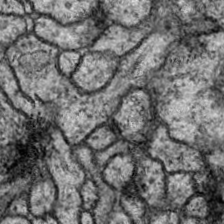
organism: Drosophila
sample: Ventral Nerve Cord